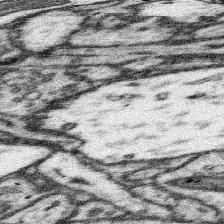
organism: Mouse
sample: Somatosensory cortex neuropil